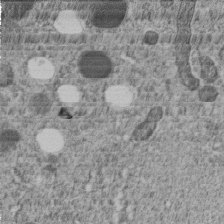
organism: C. elegans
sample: C. elegans embryo early stage